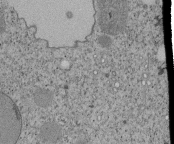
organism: Tetrahymena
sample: Cilia in tetrahymena